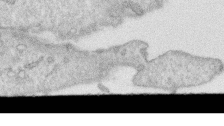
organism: Human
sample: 1205lu cells